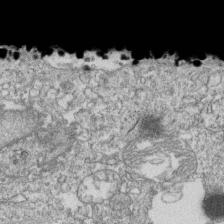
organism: Human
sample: HeLa cell HIV synapse